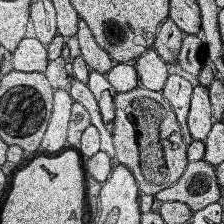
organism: Human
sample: Temporal Lobe